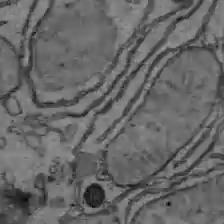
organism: C57BL Mouse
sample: Liver